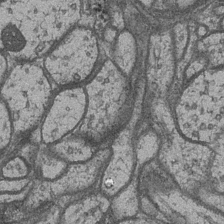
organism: Drosophila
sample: Optic medulla